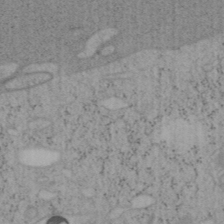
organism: Mouse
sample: OT-I killer T cells with ID8 ovarian cancer cells